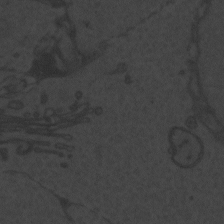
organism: Zebrafish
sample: Macrophage infected with Toxoplasma gondii